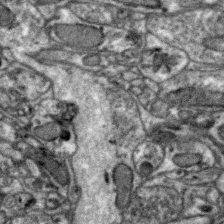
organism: Zebra finch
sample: Brain